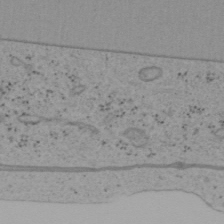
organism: Human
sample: HeLa cells